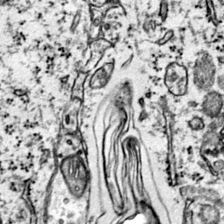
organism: Mouse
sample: Primary visual cortex